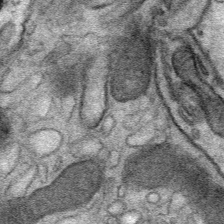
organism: Mouse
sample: Mouse Salivary gland